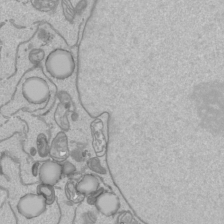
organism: Human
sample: Mitochondria in HCT116 cells